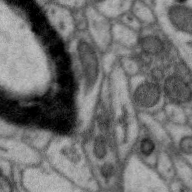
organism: Zebra finch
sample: Brain